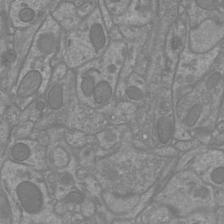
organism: Mouse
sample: Cortical neurons